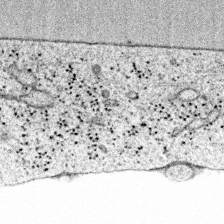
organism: Human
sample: HeLa cells